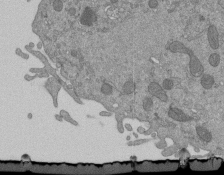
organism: Mouse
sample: ED-1 cell nuclei; centrioles